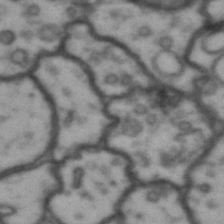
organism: Drosophila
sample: Brain